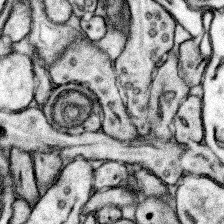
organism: Mouse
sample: Somatosensory cortex neuropil